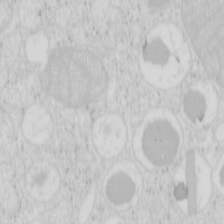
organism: Mouse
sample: Pancreas